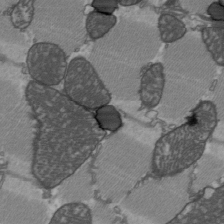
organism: C57BL Mouse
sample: Heart